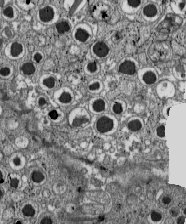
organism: C57BL Mouse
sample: Pancreatic islet